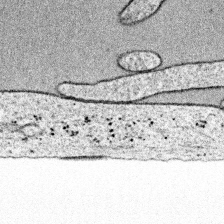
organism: Human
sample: HeLa cells